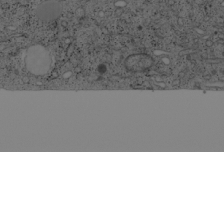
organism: African green monkey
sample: COS-7 cells